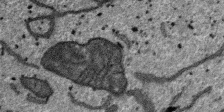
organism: Human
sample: Lung epithelial cells, uninfected (mock) control